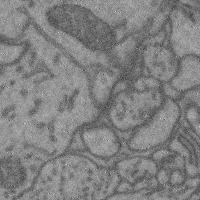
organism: Mouse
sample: Cerebral cortex